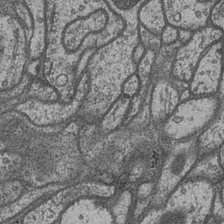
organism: Drosophila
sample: Optic medulla